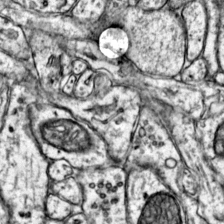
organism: Mouse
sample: Primary visual cortex